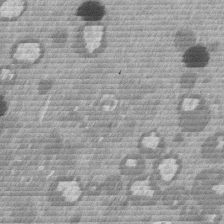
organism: Mouse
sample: Dividing mouse embryo 1 cell stage